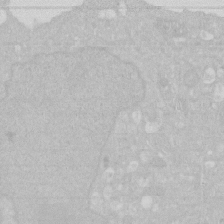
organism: Human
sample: HIV infected U937 cells